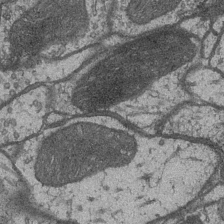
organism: Drosophila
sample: Optic medulla